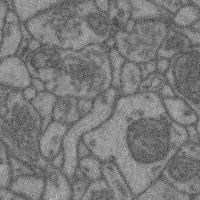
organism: Mouse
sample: Cerebral cortex